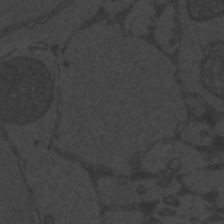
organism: Zebrafish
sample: Macrophage infected with Toxoplasma gondii